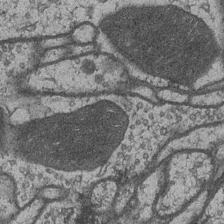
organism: Drosophila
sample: Optic medulla